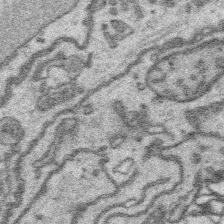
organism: Platynereis dumerilii